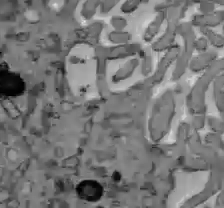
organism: C57BL Mouse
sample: Liver